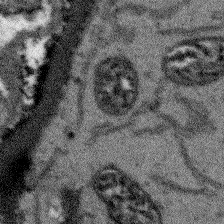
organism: Arabidopsis thaliana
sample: Root tip